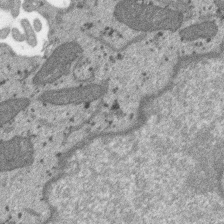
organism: Human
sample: Lung epithelial cells infected with SARS-CoV-2